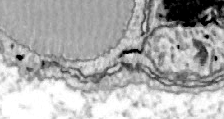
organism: Zebrafish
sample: Actinotrichia fibers